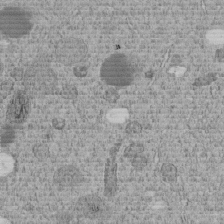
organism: C. elegans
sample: C. elegans embryo early stage